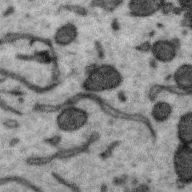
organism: Zebra finch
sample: Brain